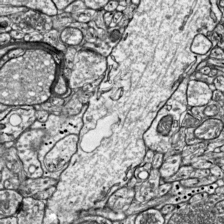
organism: Mouse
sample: Visual Cortex